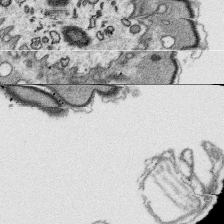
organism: Platynereis dumerilii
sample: Parapodia